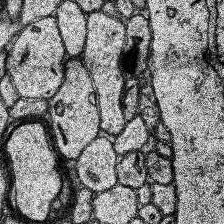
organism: Human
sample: Temporal Lobe